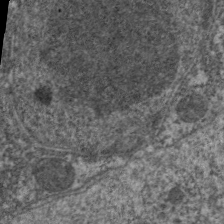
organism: C. elegans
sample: Pharynx